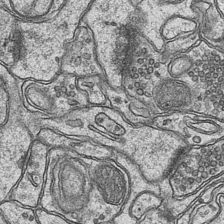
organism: Mouse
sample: CA1 Hippocampus